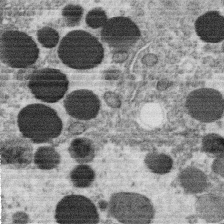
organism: C. elegans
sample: C. elegans oocyte; sperm cells